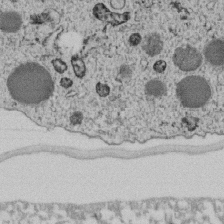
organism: C. elegans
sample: C. elegans embryo early stage